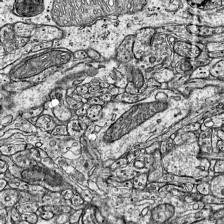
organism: Mouse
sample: Visual Cortex